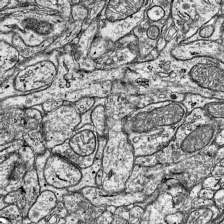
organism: Mouse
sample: Visual Cortex